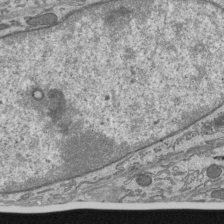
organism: Mouse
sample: Mouse epididymis efferent ductule cilia